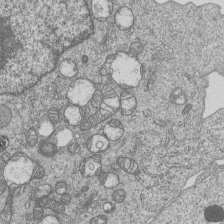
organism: Human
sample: MDA-MB-231 cells